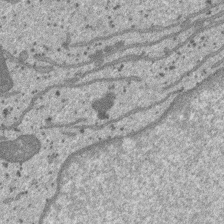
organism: Human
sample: Lung epithelial cells infected with SARS-CoV-2